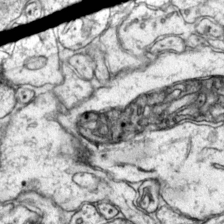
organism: Mouse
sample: Primary visual cortex